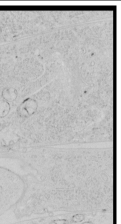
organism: Human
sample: Mitochondria in HCT116 cells